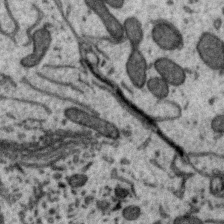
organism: Zebra finch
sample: Brain